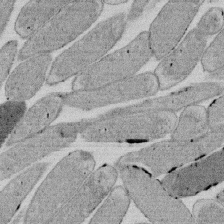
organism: E. coli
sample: Bacterial nucleoid